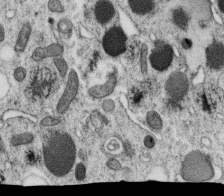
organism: C. elegans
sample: C. elegans oocyte; sperm cells